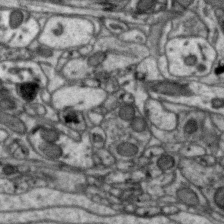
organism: Zebra finch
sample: Brain